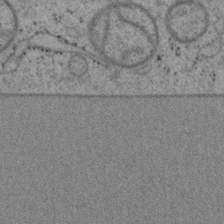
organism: Human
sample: HeLa cells